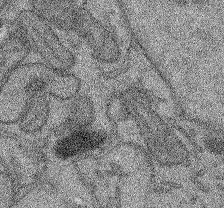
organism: Human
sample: HeLa cells